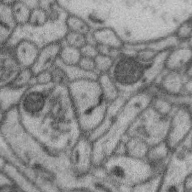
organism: Zebra finch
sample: Brain